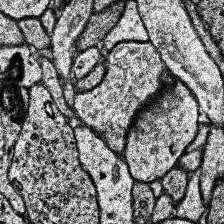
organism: Human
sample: Temporal Lobe